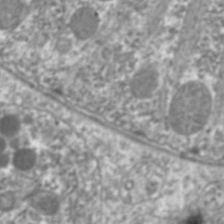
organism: C. elegans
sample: Pharynx